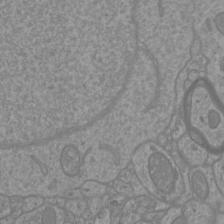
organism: Mouse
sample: Cortical neurons